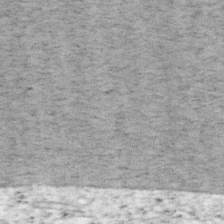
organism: Mouse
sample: OT-I killer T cells with ID8 ovarian cancer cells